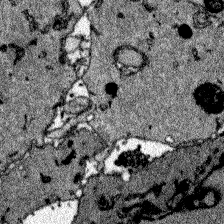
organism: Zebrafish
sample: Larval olfactory bulb